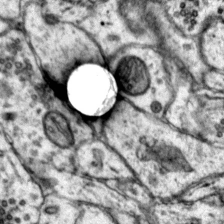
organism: Mouse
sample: Primary visual cortex